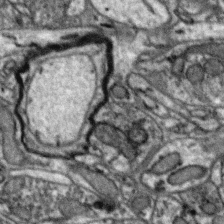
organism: Zebra finch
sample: Brain